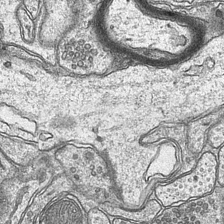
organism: Mouse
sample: CA1 Hippocampus